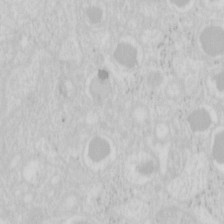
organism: Mouse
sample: Pancreas